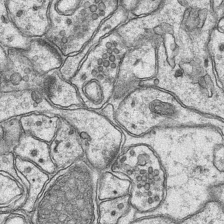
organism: Mouse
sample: CA1 Hippocampus